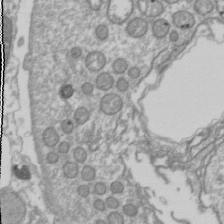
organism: Drosophila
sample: Cell division; meiosis; drosophila spermatocytes